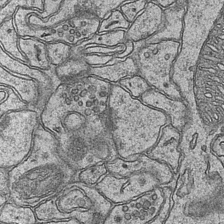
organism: Mouse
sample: CA1 Hippocampus